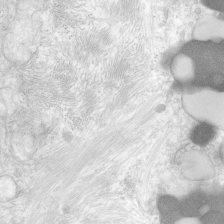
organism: Human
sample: Neocortex